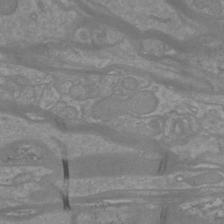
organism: Mouse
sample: Cortical neurons